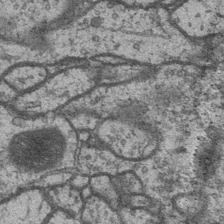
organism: Drosophila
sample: Optic medulla